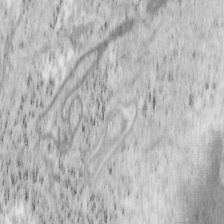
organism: Human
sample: HeLa cells